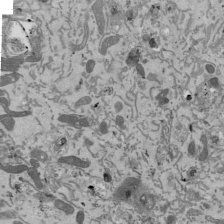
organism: Mouse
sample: ED-1 cell nuclei; centrioles